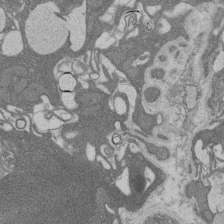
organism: Rat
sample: Salivary granule